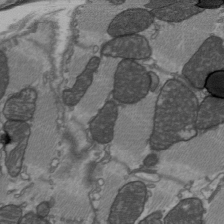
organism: C57BL Mouse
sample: Heart